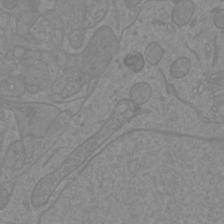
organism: Mouse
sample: Cortical neurons